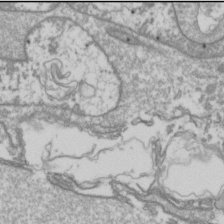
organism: Drosophila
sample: Cell division; meiosis; drosophila spermatocytes